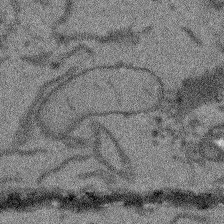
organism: Arabidopsis thaliana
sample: Root tip